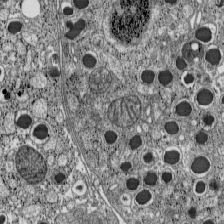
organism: C57BL Mouse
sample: Pancreatic islet